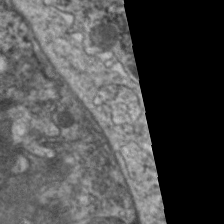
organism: C. elegans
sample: Pharynx